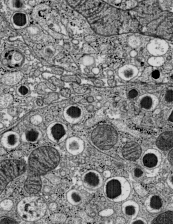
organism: C57BL Mouse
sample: Pancreatic islet